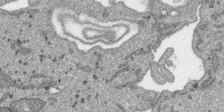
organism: Human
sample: Lung epithelial cells infected with SARS-CoV-2